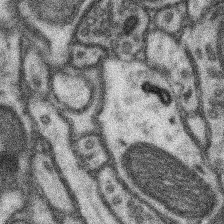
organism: Mouse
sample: Somatosensory cortex neuropil